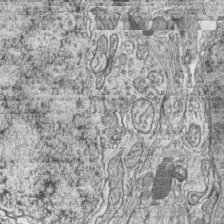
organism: Zebrafish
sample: synaptic ribbons in rod cells and cone cells